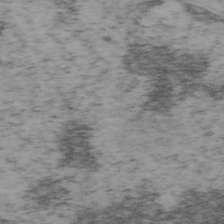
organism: Mouse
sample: OT-I killer T cells with ID8 ovarian cancer cells